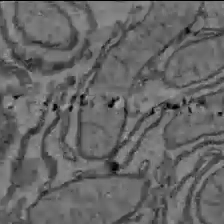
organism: C57BL Mouse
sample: Liver